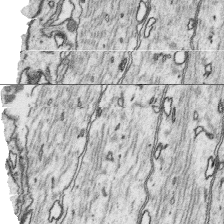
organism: Platynereis dumerilii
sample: Parapodia